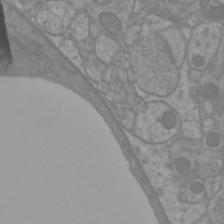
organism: Mouse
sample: Cortical neurons